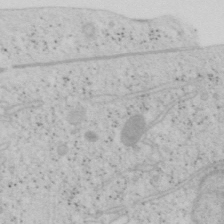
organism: Human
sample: HeLa cells